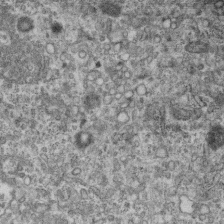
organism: Mouse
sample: Centriole in ependymal cells